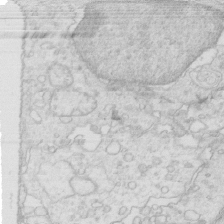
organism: Mouse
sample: Multiciliated cells